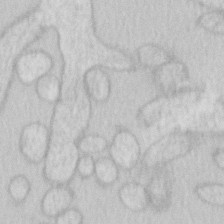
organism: Human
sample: HeLa cells